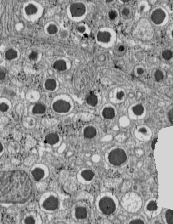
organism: C57BL Mouse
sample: Pancreatic islet